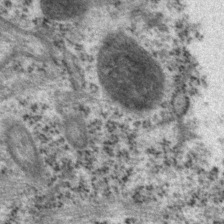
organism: P. pacificus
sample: Pharynx